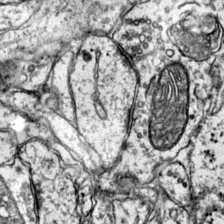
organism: Mouse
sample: Primary visual cortex